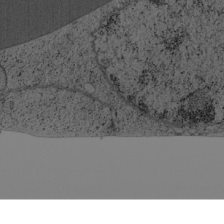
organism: African green monkey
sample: COS-7 cells